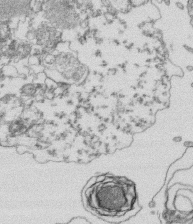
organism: Human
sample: HeLa cell HIV synapse